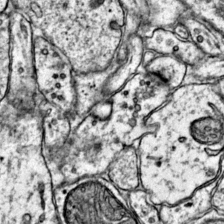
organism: Mouse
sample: Primary visual cortex